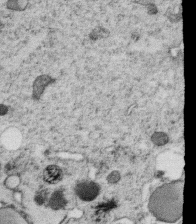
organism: C. elegans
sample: C. elegans oocyte; sperm cells